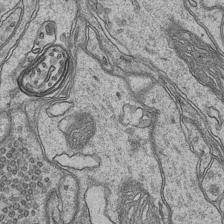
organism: Mouse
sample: CA1 Hippocampus